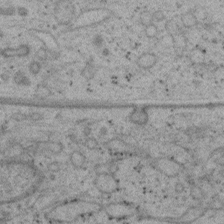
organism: Human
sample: HeLa cells